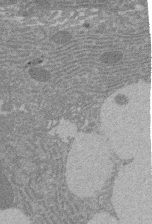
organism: Rat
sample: Salivary granule